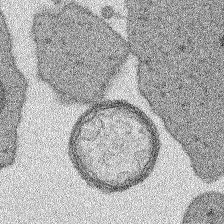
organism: Human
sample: HeLa cells